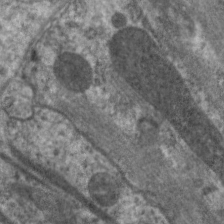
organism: C. elegans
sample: Pharynx